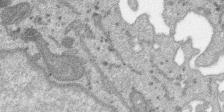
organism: Human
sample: Lung epithelial cells infected with SARS-CoV-2